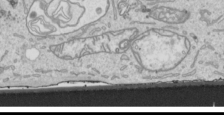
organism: Human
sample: Mitochondria in HCT116 cells